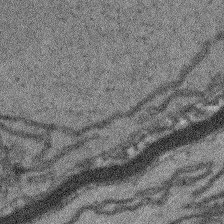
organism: Arabidopsis thaliana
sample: Root tip